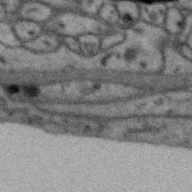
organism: Zebra finch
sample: Brain